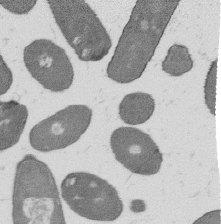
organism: B. subtilis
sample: Bacterial spore